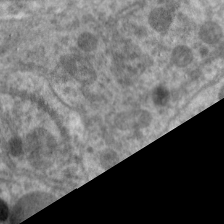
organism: C. elegans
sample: Pharynx